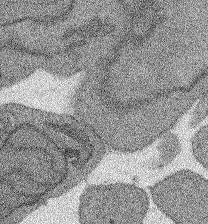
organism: Human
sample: HeLa cells